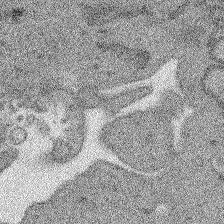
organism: Human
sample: HeLa cells